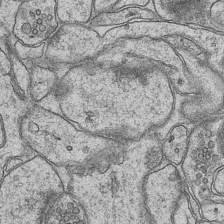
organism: Mouse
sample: CA1 Hippocampus